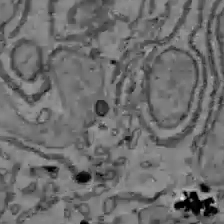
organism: C57BL Mouse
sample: Liver